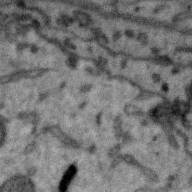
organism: Zebra finch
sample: Brain